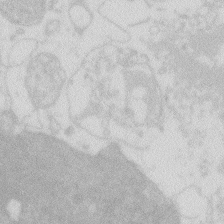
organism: Zebrafish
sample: Macrophage